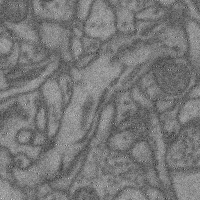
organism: Mouse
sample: Cerebral cortex